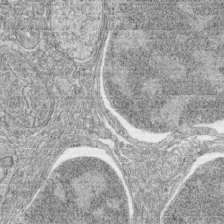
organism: Zebrafish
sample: synaptic ribbons in rod cells and cone cells